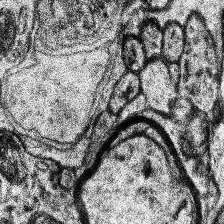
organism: Human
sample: Temporal Lobe